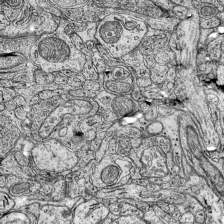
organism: Mouse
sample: Visual Cortex